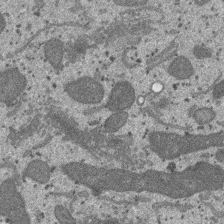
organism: Human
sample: Lung epithelial cells infected with SARS-CoV-2